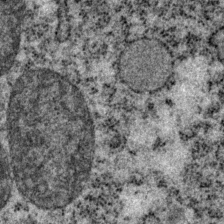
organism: P. pacificus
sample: Pharynx